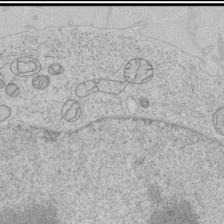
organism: Human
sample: Mitochondria in HCT116 cells